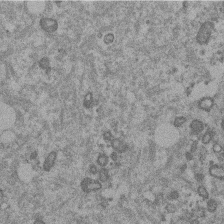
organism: Mouse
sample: Dividing mouse embryo 1 cell stage